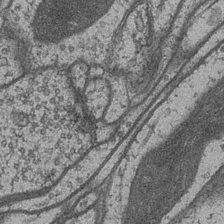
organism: Drosophila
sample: Optic medulla